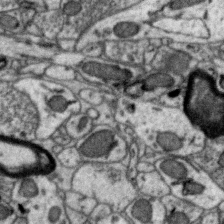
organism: Zebra finch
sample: Brain